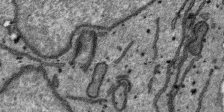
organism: Human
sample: Lung epithelial cells, uninfected (mock) control